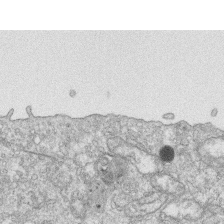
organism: Human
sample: HeLa cell HIV synapse